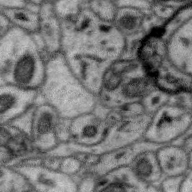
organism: Zebra finch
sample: Brain